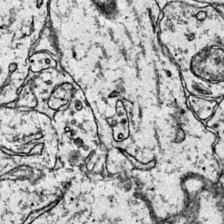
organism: Mouse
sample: Primary visual cortex